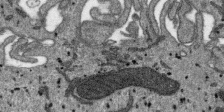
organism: Human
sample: Lung epithelial cells, uninfected (mock) control